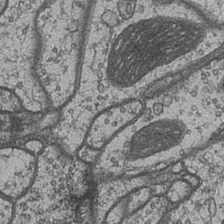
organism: Drosophila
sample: Optic medulla